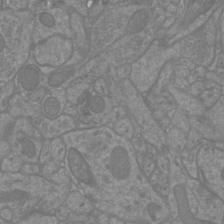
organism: Mouse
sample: Cortical neurons